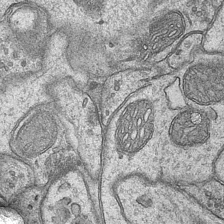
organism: Mouse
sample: CA1 Hippocampus